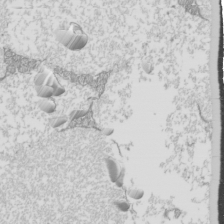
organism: Mouse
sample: Cilia; mouse epididymis